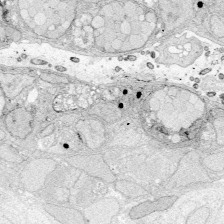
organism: Zebrafish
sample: Whole-Brain